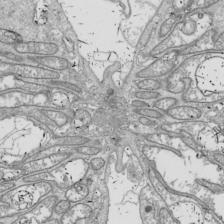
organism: Drosophila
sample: Cell division; meiosis; drosophila spermatocytes